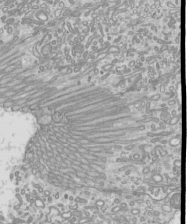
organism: Mouse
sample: Cilia; mouse epididymis